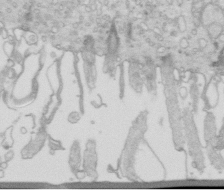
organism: Mouse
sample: Multiciliated cells